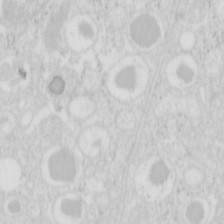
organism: Mouse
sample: Pancreas